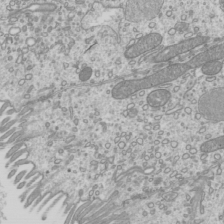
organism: Mouse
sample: Cilia; mouse epididymis